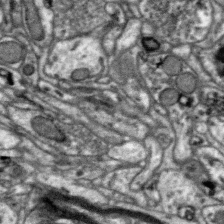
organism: Zebra finch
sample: Brain